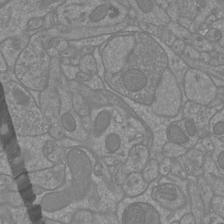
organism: Mouse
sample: Cortical neurons